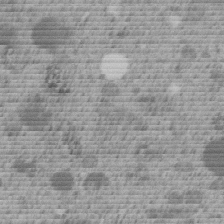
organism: C. elegans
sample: C. elegans embryo early stage